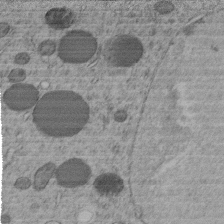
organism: C. elegans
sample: C. elegans embryo early stage